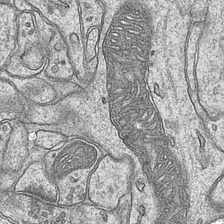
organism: Mouse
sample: CA1 Hippocampus